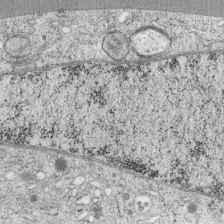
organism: African green monkey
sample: COS-7 cells